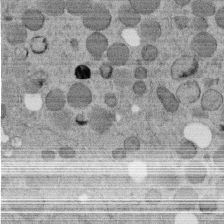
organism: C. elegans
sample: C. elegans embryo early stage